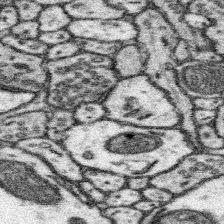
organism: Mouse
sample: Somatosensory cortex neuropil